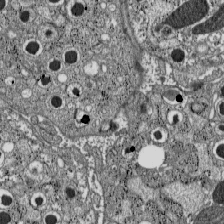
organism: C57BL Mouse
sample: Pancreatic islet